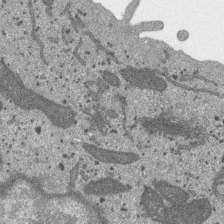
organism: Human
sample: Lung epithelial cells infected with SARS-CoV-2